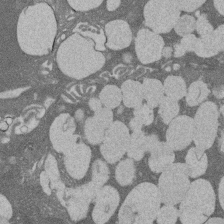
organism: Rat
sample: Salivary granule